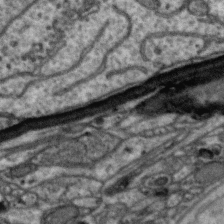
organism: Zebra finch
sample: Brain